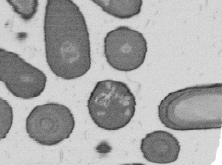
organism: B. subtilis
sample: Bacterial spore